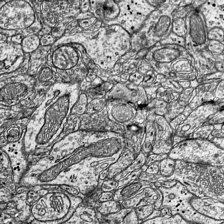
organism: Mouse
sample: Visual Cortex